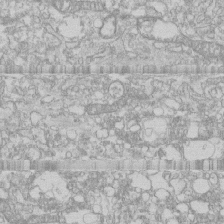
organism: Human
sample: CRL-1474